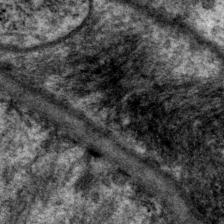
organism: P. pacificus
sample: Pharynx